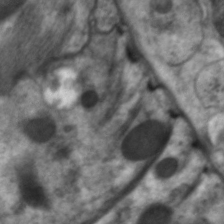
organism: C. elegans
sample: Pharynx